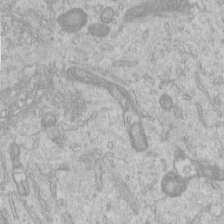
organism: Human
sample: Centriole in RPE cells